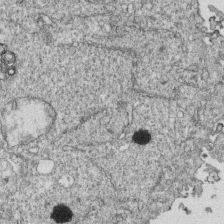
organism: Human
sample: HeLa cell HIV synapse